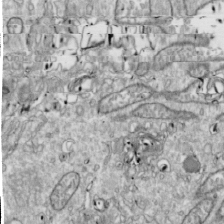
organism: Drosophila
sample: Cell division; meiosis; drosophila spermatocytes